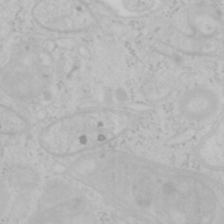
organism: Mouse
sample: OT-I killer T cells with ID8 ovarian cancer cells